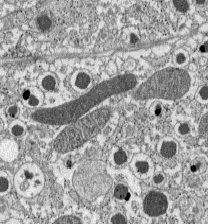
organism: C57BL Mouse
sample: Pancreatic islet